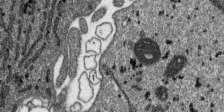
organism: Human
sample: Lung epithelial cells infected with SARS-CoV-2